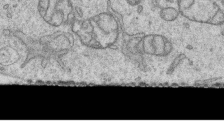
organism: Human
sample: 1205lu cells